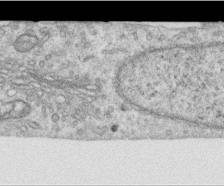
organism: Human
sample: Centriole in RPE cells